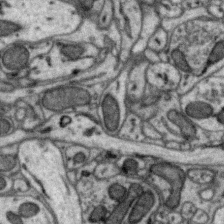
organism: Zebra finch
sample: Brain